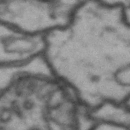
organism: Drosophila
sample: Brain